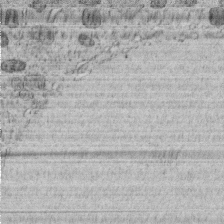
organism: C. elegans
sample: C. elegans embryo early stage